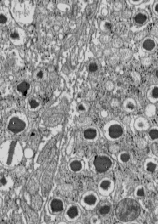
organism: C57BL Mouse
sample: Pancreatic islet